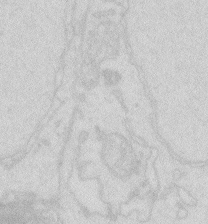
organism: Zebrafish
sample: Macrophage